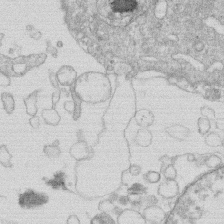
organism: Human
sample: Macrophage cells